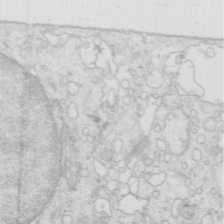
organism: Mouse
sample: Multiciliated cells